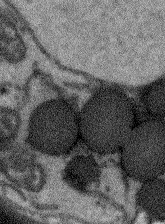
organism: Arabidopsis thaliana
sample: Root tip